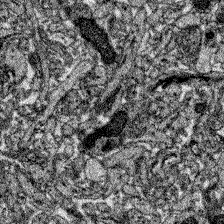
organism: Zebrafish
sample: Larval olfactory bulb